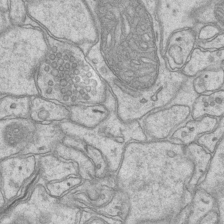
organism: Mouse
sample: CA1 Hippocampus